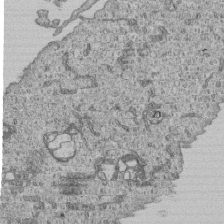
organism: Human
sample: MDA-MB-231 cells